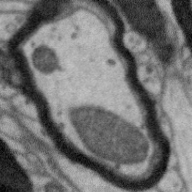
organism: Zebra finch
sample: Brain